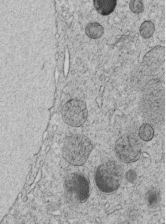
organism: C. elegans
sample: C. elegans embryo early stage